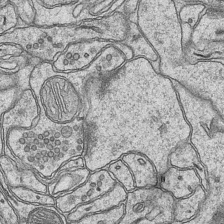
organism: Mouse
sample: CA1 Hippocampus